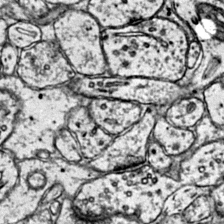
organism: Mouse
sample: Primary visual cortex